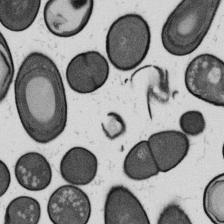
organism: B. subtilis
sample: Bacterial spore